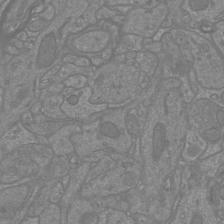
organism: Mouse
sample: Cortical neurons